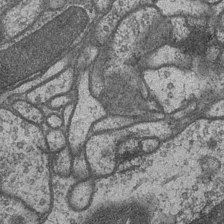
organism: Drosophila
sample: Optic medulla